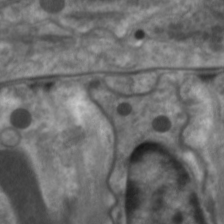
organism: C. elegans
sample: Pharynx